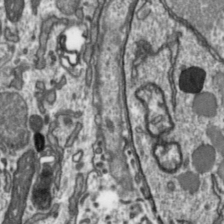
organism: Toxoplasma gondii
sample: Parasites in a vacuole inside a host cell